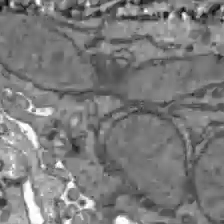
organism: C57BL Mouse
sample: Liver